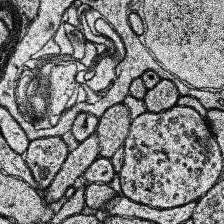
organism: Human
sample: Temporal Lobe